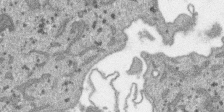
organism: Human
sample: Lung epithelial cells infected with SARS-CoV-2